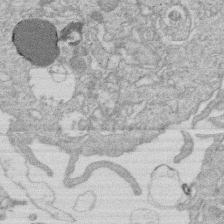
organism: Human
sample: Macrophage cells